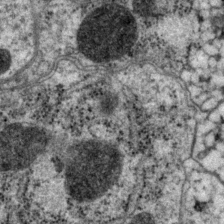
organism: P. pacificus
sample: Pharynx